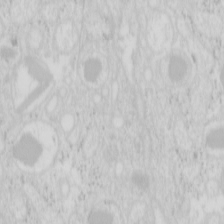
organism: Mouse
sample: Pancreas